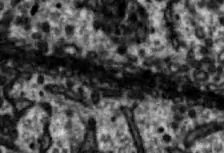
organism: Human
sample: HeLa cells